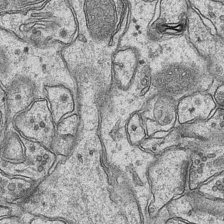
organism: Mouse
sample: CA1 Hippocampus